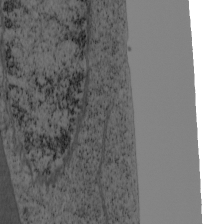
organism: African green monkey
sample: COS-7 cells